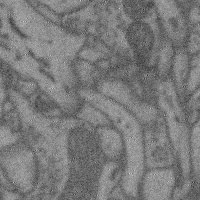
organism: Mouse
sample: Cerebral cortex